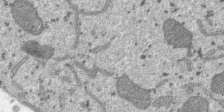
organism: Human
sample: Lung epithelial cells infected with SARS-CoV-2